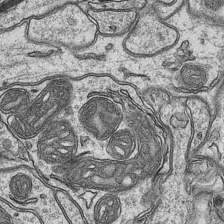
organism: Mouse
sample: CA1 Hippocampus